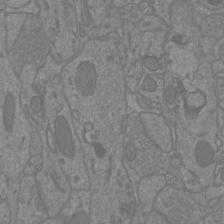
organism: Mouse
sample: Cortical neurons